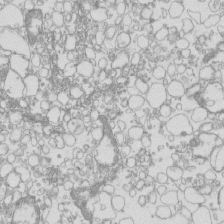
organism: Mouse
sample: Macrophages